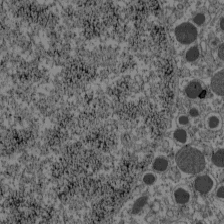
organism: C57BL Mouse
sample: Pancreatic islet